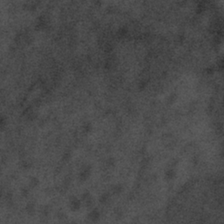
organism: Tuwongella immobilis